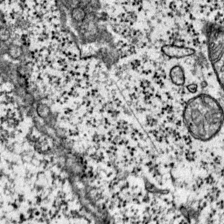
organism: Mouse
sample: Primary visual cortex